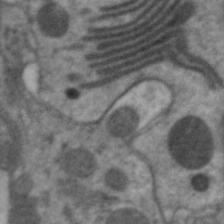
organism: C. elegans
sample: Pharynx